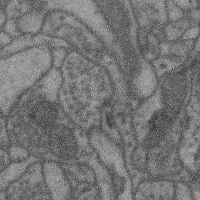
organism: Mouse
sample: Cerebral cortex